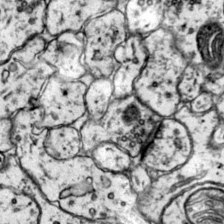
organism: Mouse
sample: Primary visual cortex